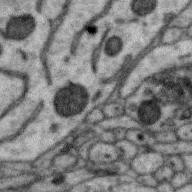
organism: Zebra finch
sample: Brain